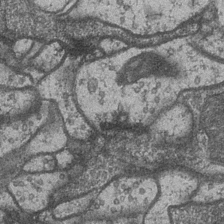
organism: Drosophila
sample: Optic medulla